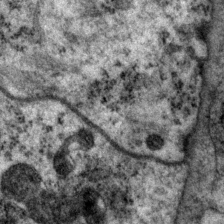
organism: P. pacificus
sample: Pharynx